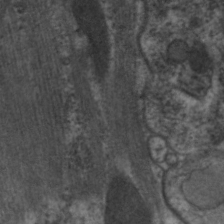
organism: C. elegans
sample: Pharynx